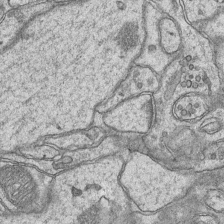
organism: Mouse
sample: CA1 Hippocampus